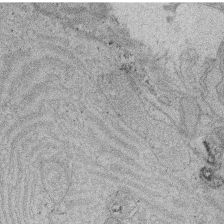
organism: Rat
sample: Salivary granule